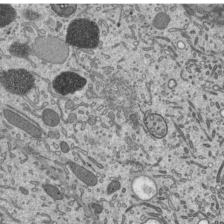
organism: Mouse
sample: Mouse epididymis efferent ductule cilia